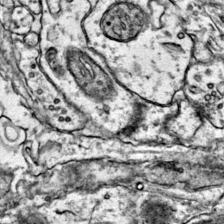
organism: Mouse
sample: Primary visual cortex